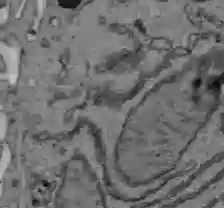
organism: C57BL Mouse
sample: Liver